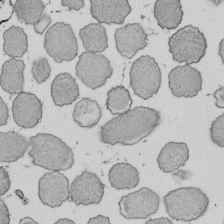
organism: E. coli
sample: Bacterial nucleoid